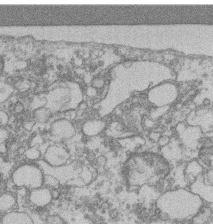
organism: Mouse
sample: T cell stromal cell synapse